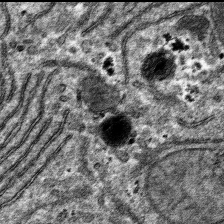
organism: Mouse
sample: Mouse hepatocytes